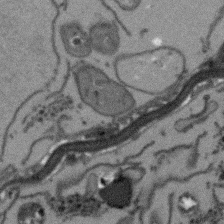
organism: Arabidopsis thaliana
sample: Root tip